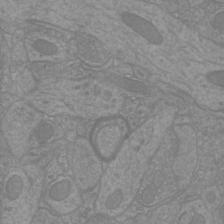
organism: Mouse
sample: Cortical neurons